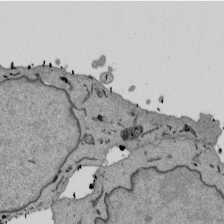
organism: Mouse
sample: ED-1 cell nuclei; centrioles